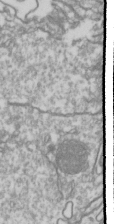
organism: Drosophila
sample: Cell division; meiosis; drosophila spermatocytes